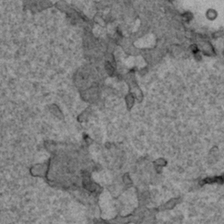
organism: Human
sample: Mitochondria in HCT116 cells